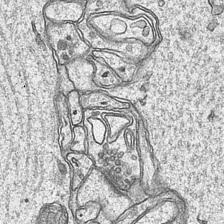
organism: Mouse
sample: CA1 Hippocampus